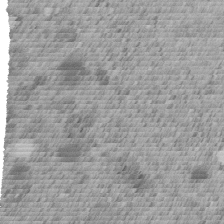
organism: C. elegans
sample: C. elegans embryo early stage